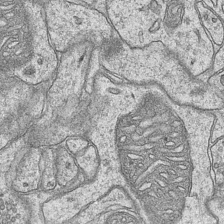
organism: Mouse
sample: CA1 Hippocampus